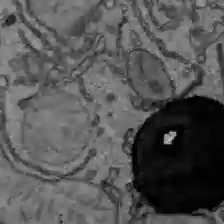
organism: C57BL Mouse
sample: Liver